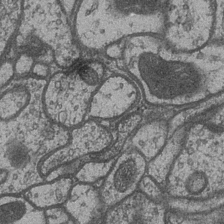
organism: Drosophila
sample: Optic medulla